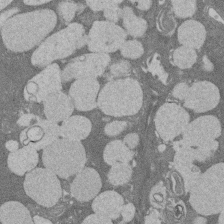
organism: Rat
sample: Salivary granule